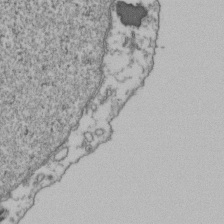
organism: Human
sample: Activated Jurkat CD4+ T cells